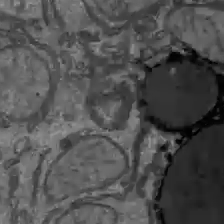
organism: C57BL Mouse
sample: Liver